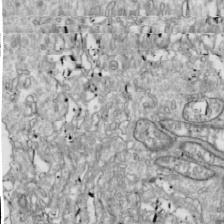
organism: Drosophila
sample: Cell division; meiosis; drosophila spermatocytes